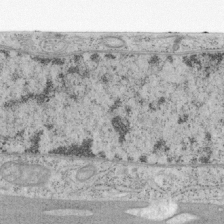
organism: Human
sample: HeLa cells